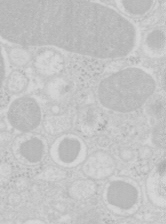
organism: Mouse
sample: Pancreas